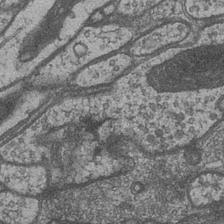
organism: Drosophila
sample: Optic medulla